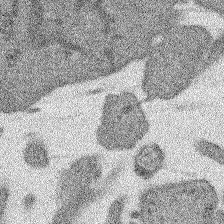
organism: Human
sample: HeLa cells